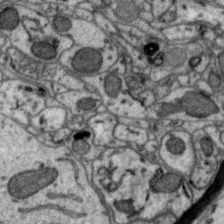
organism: Zebra finch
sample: Brain